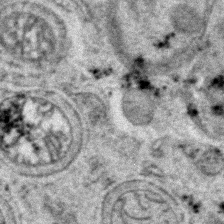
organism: Zebrafish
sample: Zebrafish embryo